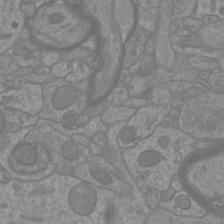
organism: Mouse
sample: Cortical neurons